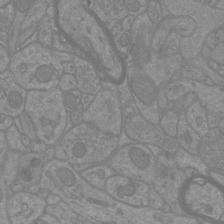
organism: Mouse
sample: Cortical neurons